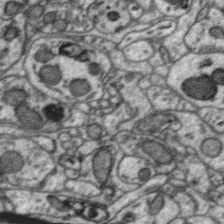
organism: Zebra finch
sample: Brain